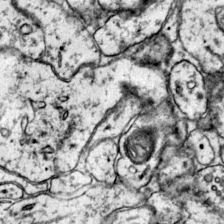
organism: Mouse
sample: Primary visual cortex